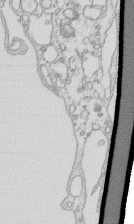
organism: Mouse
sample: Macrophages